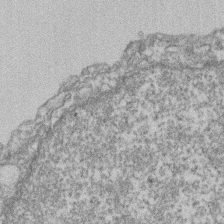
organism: Mouse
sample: T cell stromal cell synapse